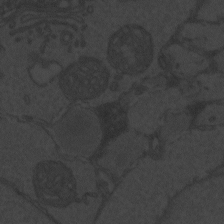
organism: Zebrafish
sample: Macrophage infected with Toxoplasma gondii